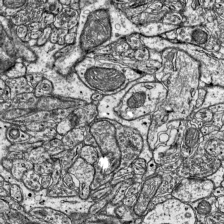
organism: Mouse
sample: Visual Cortex